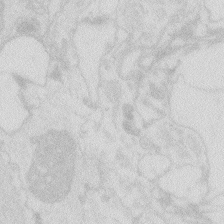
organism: Zebrafish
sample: Macrophage